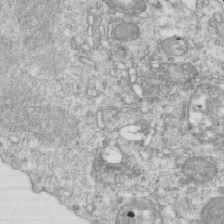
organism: Mouse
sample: Activated OT-1 CD8+ T cells